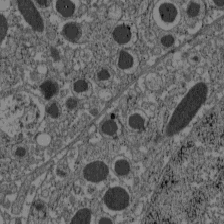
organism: C57BL Mouse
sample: Pancreatic islet